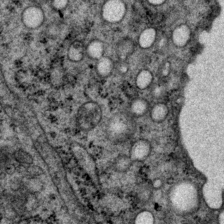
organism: P. pacificus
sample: Pharynx